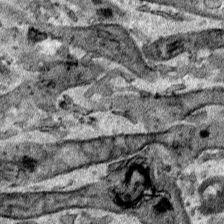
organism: Human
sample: Mitochondria in HCT116 cells